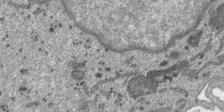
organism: Human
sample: Lung epithelial cells infected with SARS-CoV-2